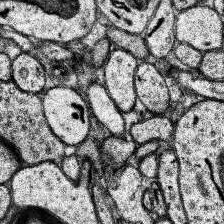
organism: Human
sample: Temporal Lobe